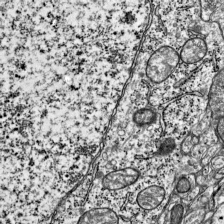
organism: Mouse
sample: Visual Cortex